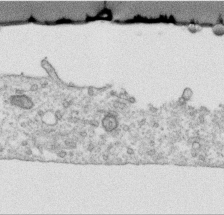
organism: Human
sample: Centriole in RPE cells